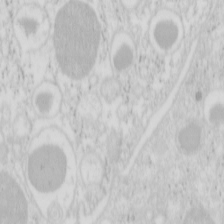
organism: Mouse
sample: Pancreas